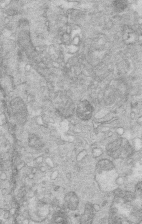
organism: Mouse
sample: Multiciliated cells